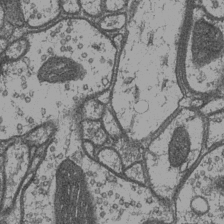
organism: Drosophila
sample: Optic medulla